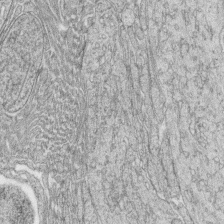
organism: Zebrafish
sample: synaptic ribbons in rod cells and cone cells